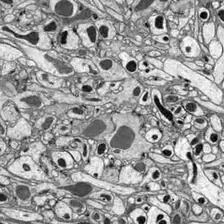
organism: Drosophila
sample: Optic lobe